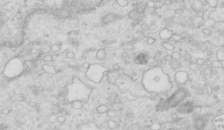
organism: Mouse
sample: Multiciliated cells